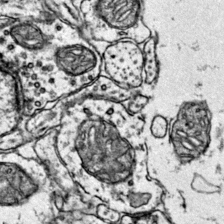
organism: Mouse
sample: Primary visual cortex